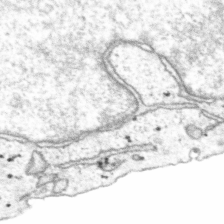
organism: Human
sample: HeLa cells